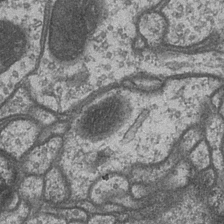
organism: Drosophila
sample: Optic medulla